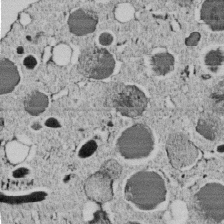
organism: C. elegans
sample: C. elegans embryo early stage